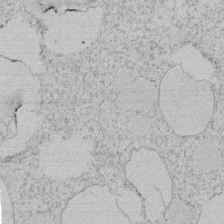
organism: Tetrahymena